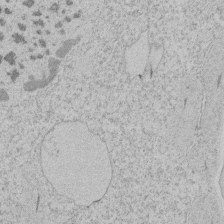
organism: Tetrahymena